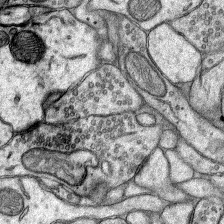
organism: Rat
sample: Hippocampus